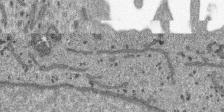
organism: Human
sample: Lung epithelial cells infected with SARS-CoV-2